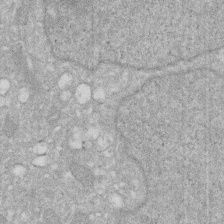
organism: Human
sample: HIV infected U937 cells